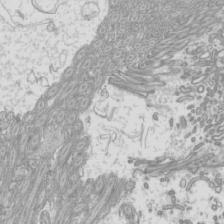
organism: Mouse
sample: Cilia; mouse epididymis